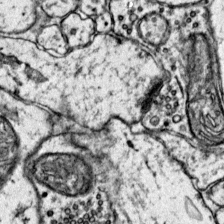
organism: Mouse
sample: Primary visual cortex